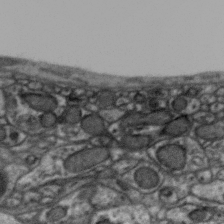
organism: Zebra finch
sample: Brain